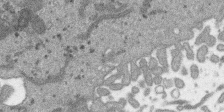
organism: Human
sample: Lung epithelial cells infected with SARS-CoV-2